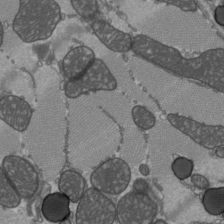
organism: C57BL Mouse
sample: Heart